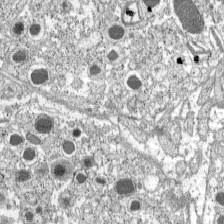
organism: C57BL Mouse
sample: Pancreatic islet